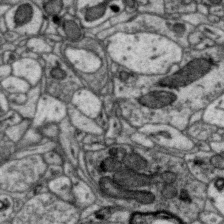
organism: Zebra finch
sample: Brain